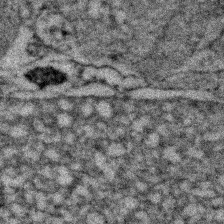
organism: Zebrafish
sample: Zebrafish embryo